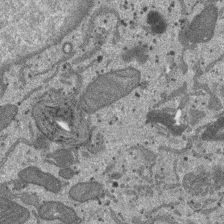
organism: Human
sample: Lung epithelial cells infected with SARS-CoV-2